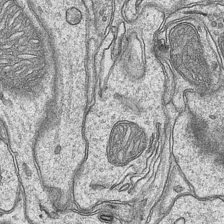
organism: Mouse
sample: CA1 Hippocampus